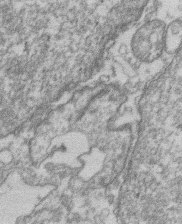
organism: Mouse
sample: T cell stromal cell synapse